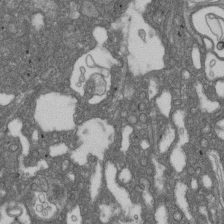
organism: Drosophila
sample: Nephrocyte